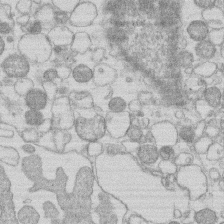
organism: Human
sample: Macrophage cells